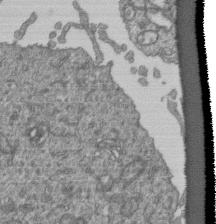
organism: Human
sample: Retinal organoid Rod and Cone cells